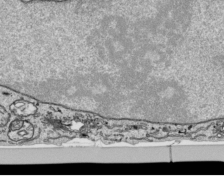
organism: Human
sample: Mitochondria in HCT116 cells